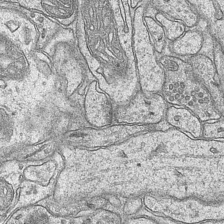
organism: Mouse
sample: CA1 Hippocampus